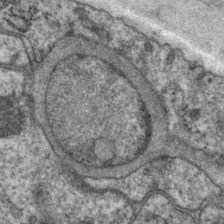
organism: P. pacificus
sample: Pharynx